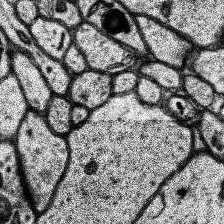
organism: Human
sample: Temporal Lobe